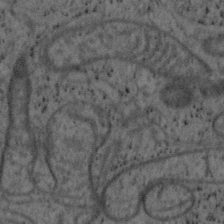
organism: Human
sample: HeLa cells